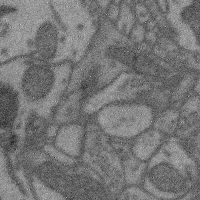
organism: Mouse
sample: Cerebral cortex